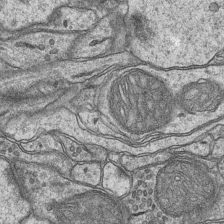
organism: Mouse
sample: CA1 Hippocampus